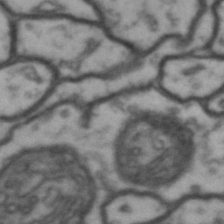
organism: Drosophila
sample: Brain